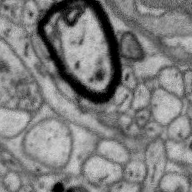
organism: Zebra finch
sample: Brain